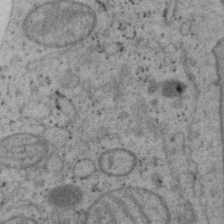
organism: Human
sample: HeLa cells